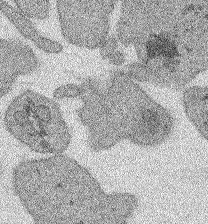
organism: Human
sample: HeLa cells